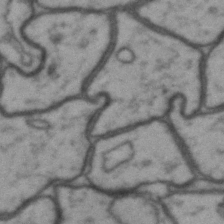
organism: Drosophila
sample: Brain